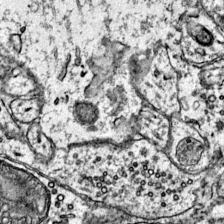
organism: Mouse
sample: Primary visual cortex